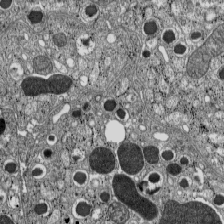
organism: C57BL Mouse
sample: Pancreatic islet